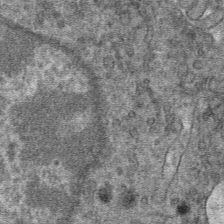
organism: Mouse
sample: Mouse hepatocytes